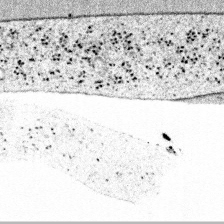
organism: Human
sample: HeLa cells